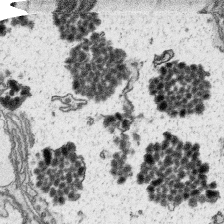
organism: Platynereis dumerilii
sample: Parapodia